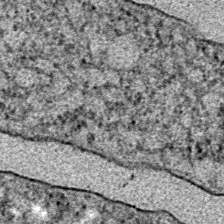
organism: E. coli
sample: E. Coli Bacteria